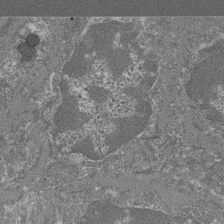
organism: Mouse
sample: Glomerulus